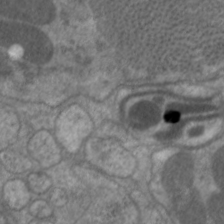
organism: C. elegans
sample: Pharynx